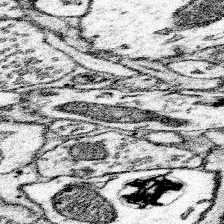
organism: Mouse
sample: Somatosensory cortex neuropil